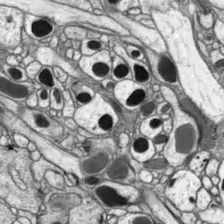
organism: Drosophila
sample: Optic lobe